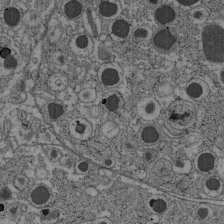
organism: C57BL Mouse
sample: Pancreatic islet